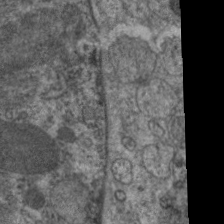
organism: C. elegans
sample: Pharynx